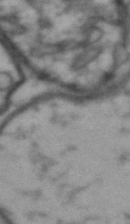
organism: Drosophila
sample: Brain